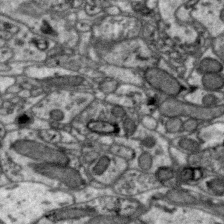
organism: Zebra finch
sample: Brain